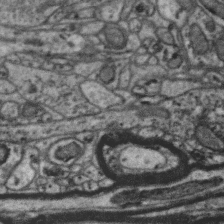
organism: Zebra finch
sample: Brain